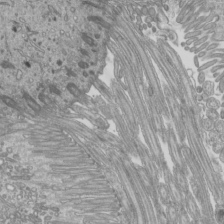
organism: Mouse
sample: Cilia; mouse epididymis